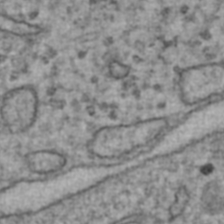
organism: Human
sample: Blood